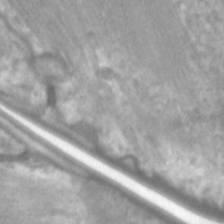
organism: C. elegans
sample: Pharynx